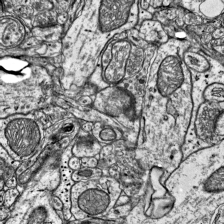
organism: Mouse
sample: Visual Cortex